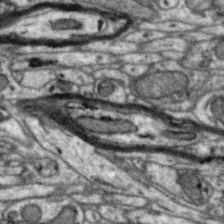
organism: Zebra finch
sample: Brain